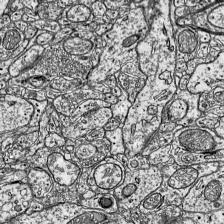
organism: Mouse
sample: Visual Cortex